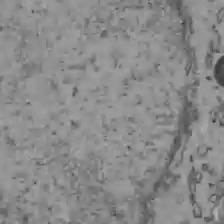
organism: C57BL Mouse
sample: Liver